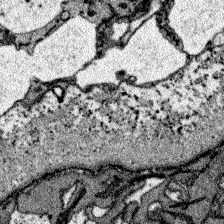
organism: Zebrafish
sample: Larval olfactory bulb